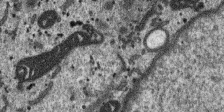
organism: Human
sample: Lung epithelial cells infected with SARS-CoV-2